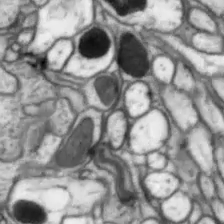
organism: Drosophila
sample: Optic lobe